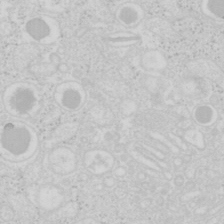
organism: Mouse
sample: Pancreas